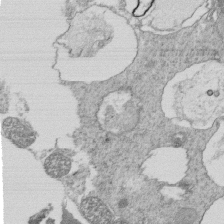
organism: Tetrahymena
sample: Cilia in tetrahymena